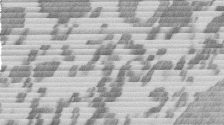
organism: Mouse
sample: Dividing mouse embryo 1 cell stage